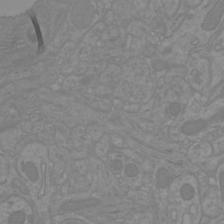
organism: Mouse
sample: Cortical neurons